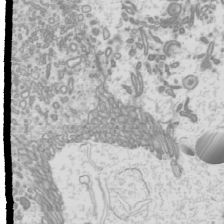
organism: Mouse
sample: Cilia; mouse epididymis